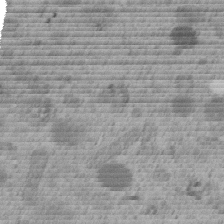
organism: C. elegans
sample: C. elegans embryo early stage